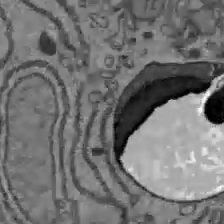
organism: C57BL Mouse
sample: Liver